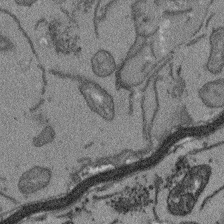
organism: Arabidopsis thaliana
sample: Root tip